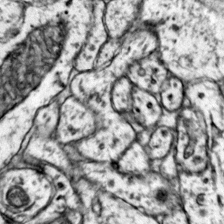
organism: Mouse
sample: Primary visual cortex